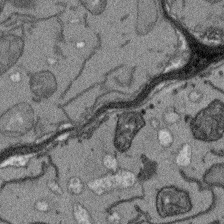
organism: Arabidopsis thaliana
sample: Root tip